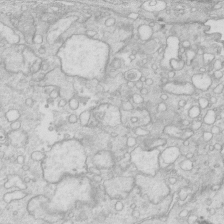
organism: Mouse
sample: Multiciliated cells